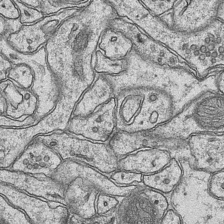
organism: Mouse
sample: CA1 Hippocampus